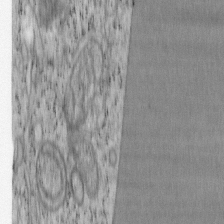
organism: Human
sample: HeLa cells